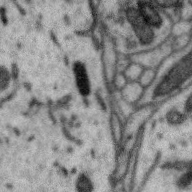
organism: Zebra finch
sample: Brain